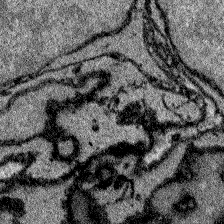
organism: Zebrafish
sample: Larval olfactory bulb